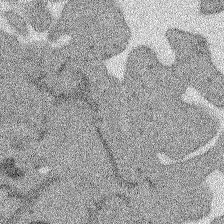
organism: Human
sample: HeLa cells